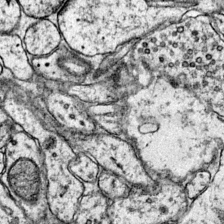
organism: Mouse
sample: Primary visual cortex